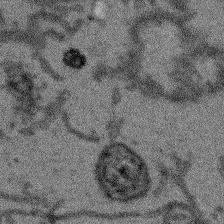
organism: Arabidopsis thaliana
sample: Root tip